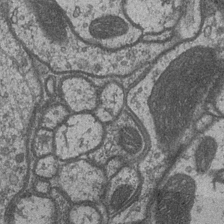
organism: Drosophila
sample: Optic medulla